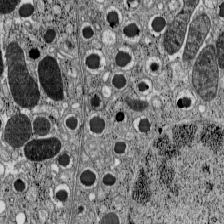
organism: C57BL Mouse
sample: Pancreatic islet